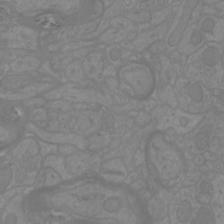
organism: Mouse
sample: Cortical neurons